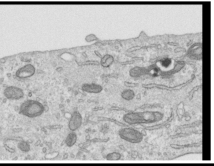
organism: Human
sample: Centriole in RPE cells